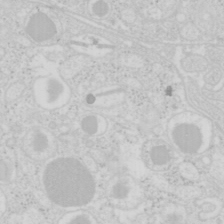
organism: Mouse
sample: Pancreas